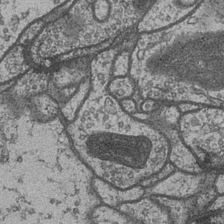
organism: Drosophila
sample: Optic medulla